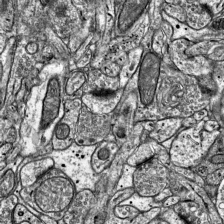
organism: Mouse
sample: Visual Cortex